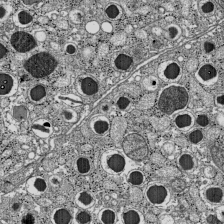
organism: C57BL Mouse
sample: Pancreatic islet